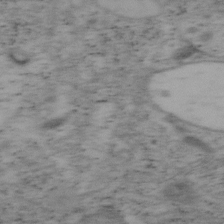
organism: Mouse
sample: OT-I killer T cells with ID8 ovarian cancer cells